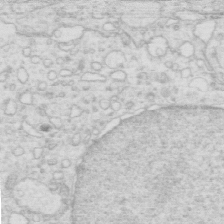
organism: Mouse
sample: Multiciliated cells